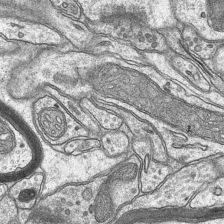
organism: Mouse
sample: CA1 Hippocampus